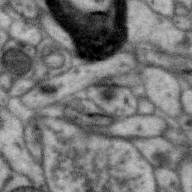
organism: Zebra finch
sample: Brain